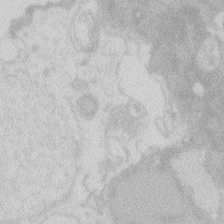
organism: Zebrafish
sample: Macrophage